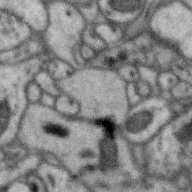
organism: Zebra finch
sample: Brain